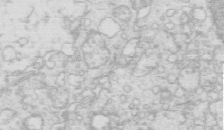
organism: Mouse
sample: Multiciliated cells